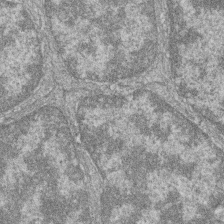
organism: Zebrafish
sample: Cilia; retinal pigment epithelium